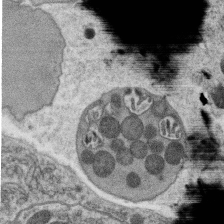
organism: C. elegans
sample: C. elegans oocyte; sperm cells